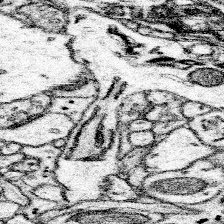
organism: Mouse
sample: Somatosensory cortex neuropil